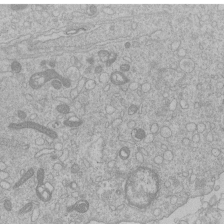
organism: Human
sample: Macrophage cells